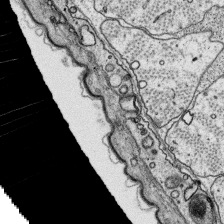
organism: Platynereis dumerilii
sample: Parapodia